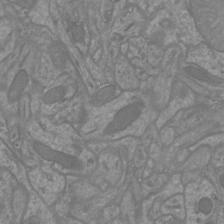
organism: Mouse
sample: Cortical neurons